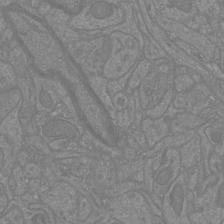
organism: Mouse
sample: Cortical neurons